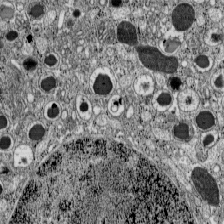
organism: C57BL Mouse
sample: Pancreatic islet